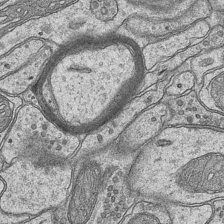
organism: Mouse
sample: CA1 Hippocampus